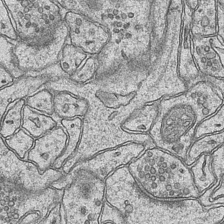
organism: Mouse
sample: CA1 Hippocampus